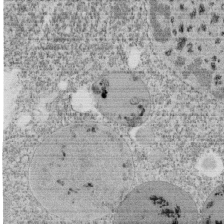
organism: Tetrahymena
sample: Cilia in tetrahymena